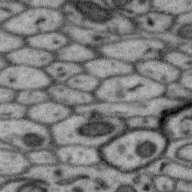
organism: Zebra finch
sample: Brain